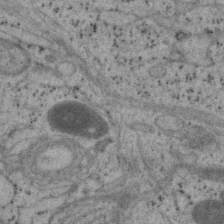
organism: Human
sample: HeLa cells